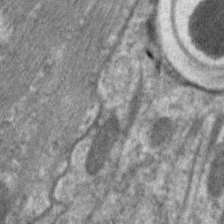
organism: C. elegans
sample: Pharynx